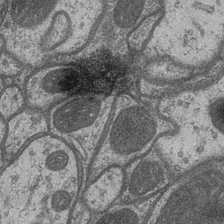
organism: Drosophila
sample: Optic medulla